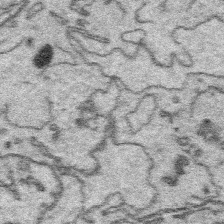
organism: Platynereis dumerilii